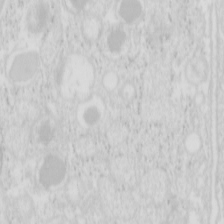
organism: Mouse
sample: Pancreas